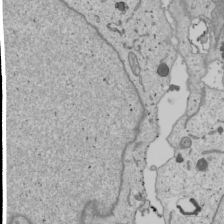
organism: Human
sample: Mitochondria in U2OS cells